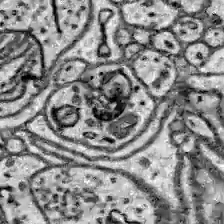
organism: Zebrafish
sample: Brain